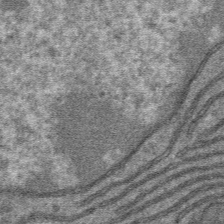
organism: Mouse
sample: Mouse hepatocytes